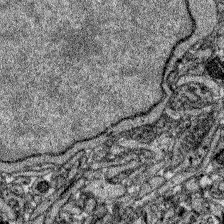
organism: Zebrafish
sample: Larval olfactory bulb